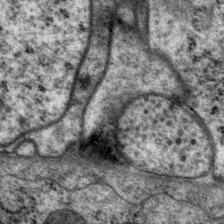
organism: P. pacificus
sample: Pharynx